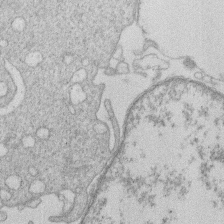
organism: Human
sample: Macrophage cells